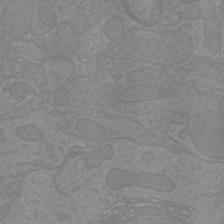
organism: Mouse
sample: Cortical neurons